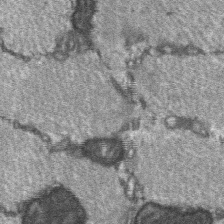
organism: C57BL Mouse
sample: Soleus